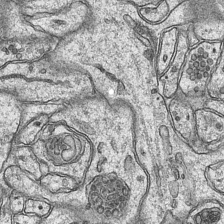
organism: Mouse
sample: CA1 Hippocampus